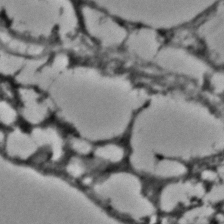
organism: C. elegans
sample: C. elegans embryo